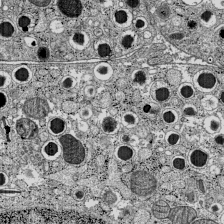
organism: C57BL Mouse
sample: Pancreatic islet